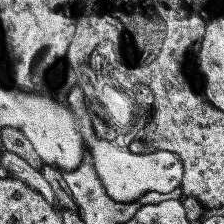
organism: Human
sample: Temporal Lobe